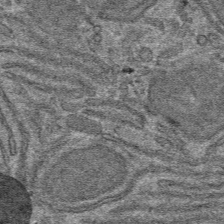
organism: Mouse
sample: Mouse hepatocytes